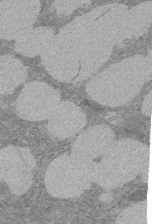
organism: Rat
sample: Salivary granule